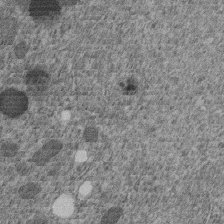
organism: C. elegans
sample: C. elegans embryo early stage